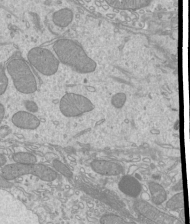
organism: Mouse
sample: Cilia; mouse epididymis